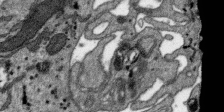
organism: Human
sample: Lung epithelial cells, uninfected (mock) control